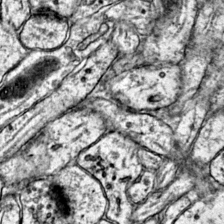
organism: Mouse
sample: Primary visual cortex